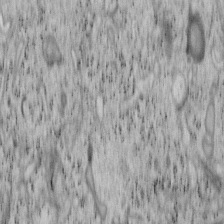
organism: Human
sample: HeLa cells